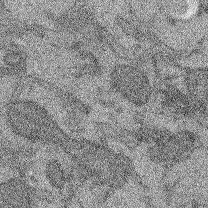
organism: Human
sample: HeLa cells